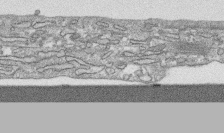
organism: Human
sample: CRL-1474